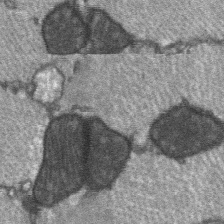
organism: C57BL Mouse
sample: Soleus